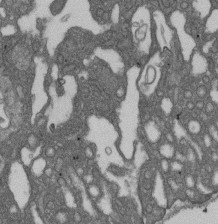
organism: Drosophila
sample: Nephrocyte